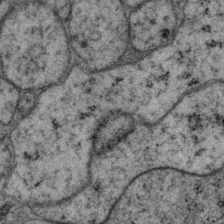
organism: P. pacificus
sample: Pharynx